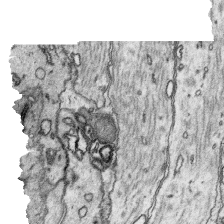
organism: Platynereis dumerilii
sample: Parapodia